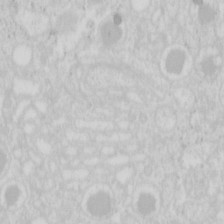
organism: Mouse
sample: Pancreas